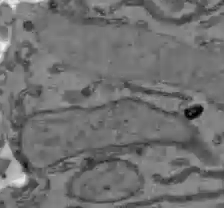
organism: C57BL Mouse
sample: Liver